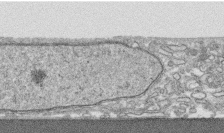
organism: Human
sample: CRL-1474